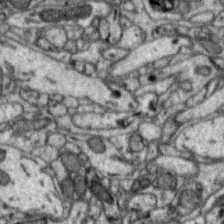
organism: Zebra finch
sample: Brain